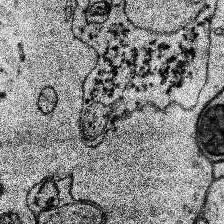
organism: Human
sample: Temporal Lobe